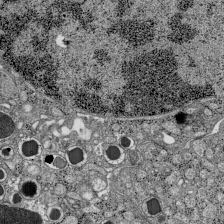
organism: C57BL Mouse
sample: Pancreatic islet